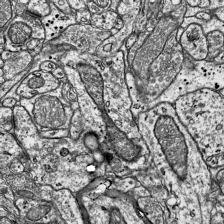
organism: Mouse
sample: Visual Cortex